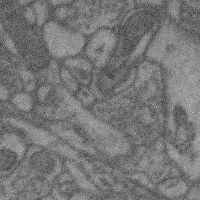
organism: Mouse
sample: Cerebral cortex